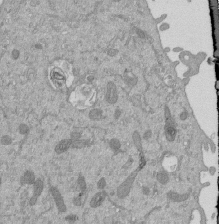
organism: Mouse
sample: ED-1 cell nuclei; centrioles